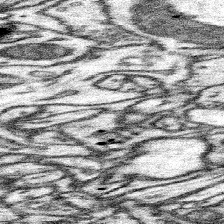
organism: Mouse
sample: Somatosensory cortex neuropil